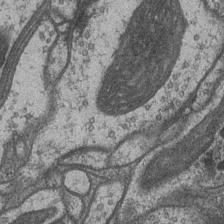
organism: Drosophila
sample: Optic medulla